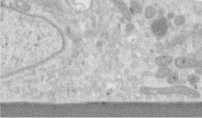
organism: Human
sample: Centriole in RPE cells